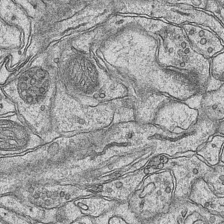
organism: Mouse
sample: CA1 Hippocampus